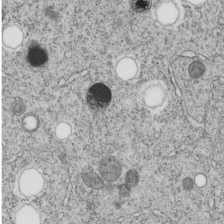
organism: C. elegans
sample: C. elegans embryo early stage